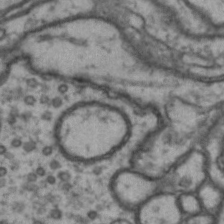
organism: Drosophila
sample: Brain